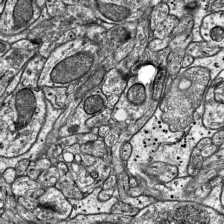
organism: Mouse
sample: Visual Cortex